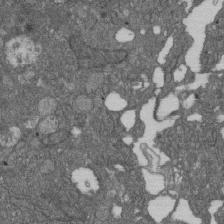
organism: Drosophila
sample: Nephrocyte